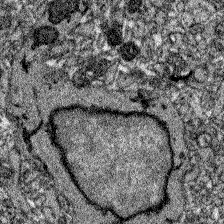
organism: Zebrafish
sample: Larval olfactory bulb